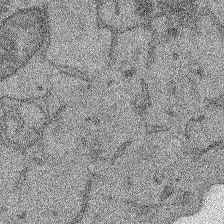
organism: Human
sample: HeLa cells